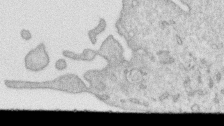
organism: Human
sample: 1205lu cells